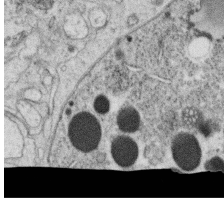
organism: C. elegans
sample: C. elegans oocyte; sperm cells